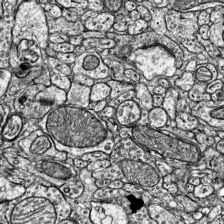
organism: Mouse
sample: Visual Cortex